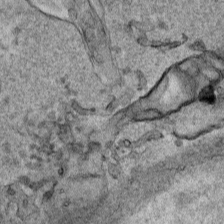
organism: Human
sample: Mitochondria in HCT116 cells